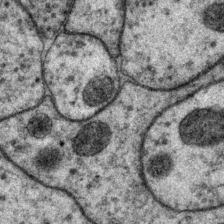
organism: P. pacificus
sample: Pharynx